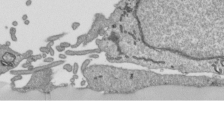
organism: Human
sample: Mitochondria in HCT116 cells